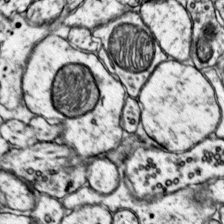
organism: Mouse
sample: Primary visual cortex